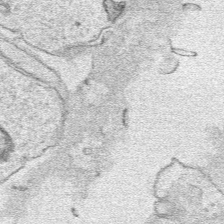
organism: Human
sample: Mitochondria in HCT116 cells